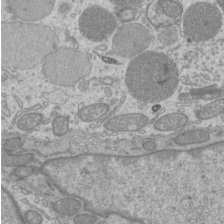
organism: Mouse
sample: Cilia; mouse epididymis